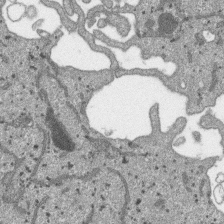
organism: Human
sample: Lung epithelial cells infected with SARS-CoV-2